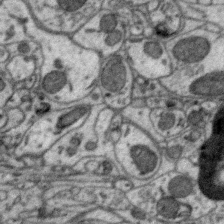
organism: Zebra finch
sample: Brain